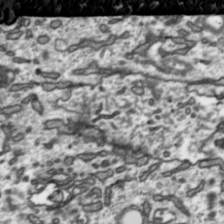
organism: Toxoplasma gondii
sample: Parasites in a vacuole inside a host cell